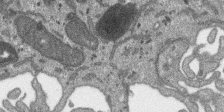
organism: Human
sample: Lung epithelial cells infected with SARS-CoV-2